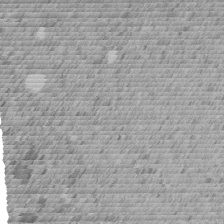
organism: C. elegans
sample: C. elegans embryo early stage